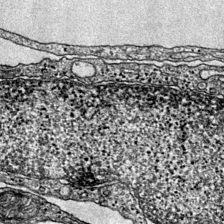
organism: Mouse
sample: Primary visual cortex